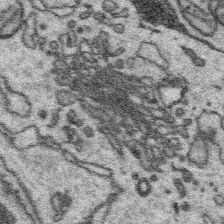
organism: Platynereis dumerilii